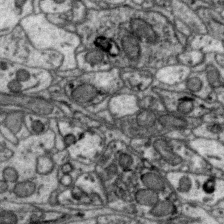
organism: Zebra finch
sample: Brain